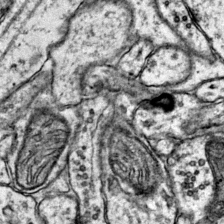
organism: Mouse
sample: Primary visual cortex